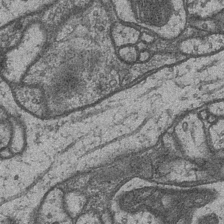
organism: Drosophila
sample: Optic medulla